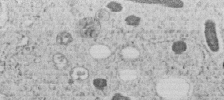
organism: C. elegans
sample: C. elegans embryo early stage